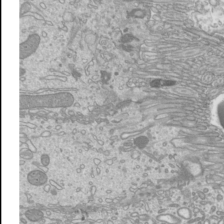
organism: Mouse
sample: Cilia; mouse epididymis